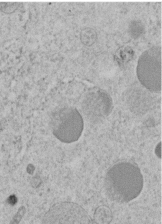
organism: C. elegans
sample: C. elegans embryo early stage